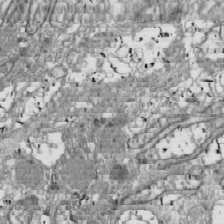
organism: Drosophila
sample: Cell division; meiosis; drosophila spermatocytes